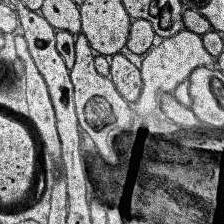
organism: Human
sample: Temporal Lobe